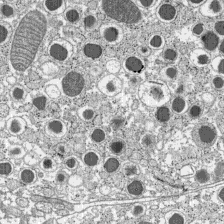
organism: C57BL Mouse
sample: Pancreatic islet